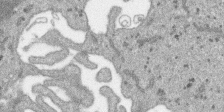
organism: Human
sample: Lung epithelial cells infected with SARS-CoV-2